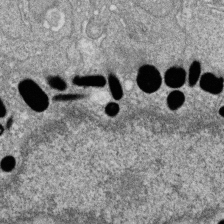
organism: Zebrafish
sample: Cilia; retinal pigment epithelium